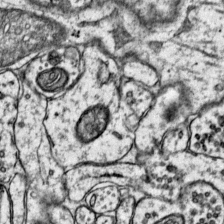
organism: Mouse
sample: Primary visual cortex